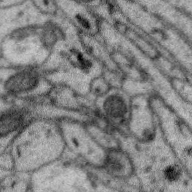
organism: Zebra finch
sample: Brain